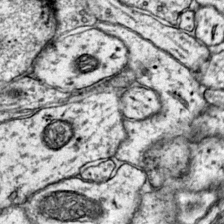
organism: Mouse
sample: Primary visual cortex